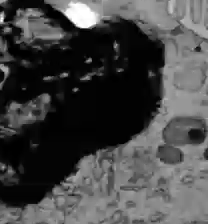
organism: C57BL Mouse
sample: Liver